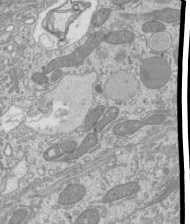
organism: Mouse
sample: Cilia; mouse epididymis